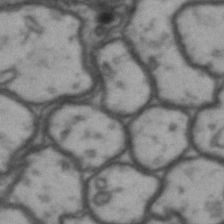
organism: Drosophila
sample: Brain